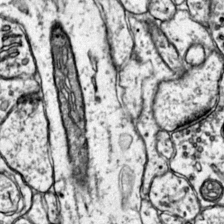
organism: Mouse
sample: Primary visual cortex